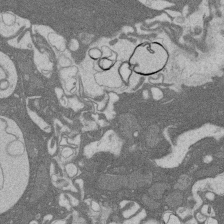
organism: Rat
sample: Salivary granule